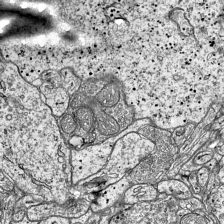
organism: Mouse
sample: Visual Cortex